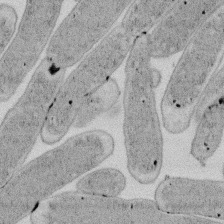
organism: E. coli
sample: Bacterial nucleoid